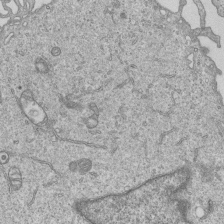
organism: Human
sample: MDA-MB-231 cells